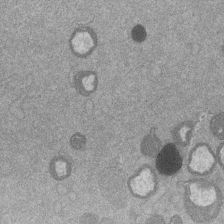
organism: Mouse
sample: Dividing mouse embryo 1 cell stage